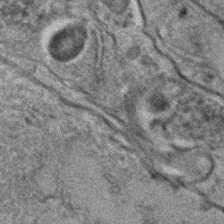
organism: C. elegans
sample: C. elegans embryo